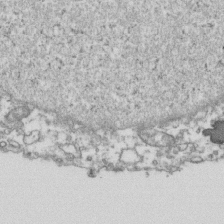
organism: Human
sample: Activated Jurkat CD4+ T cells